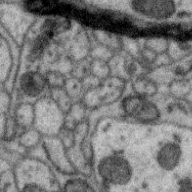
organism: Zebra finch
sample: Brain